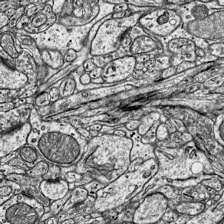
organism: Mouse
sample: Visual Cortex